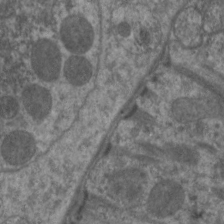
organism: C. elegans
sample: Pharynx